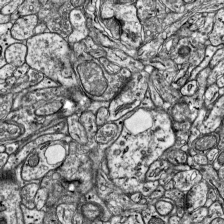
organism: Mouse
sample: Visual Cortex